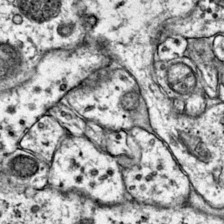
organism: Mouse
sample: Primary visual cortex